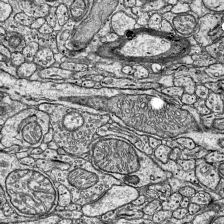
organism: Mouse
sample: Visual Cortex